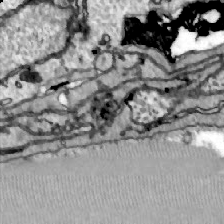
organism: Zebrafish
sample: Actinotrichia fibers